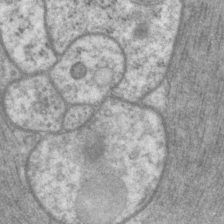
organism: P. pacificus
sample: Pharynx